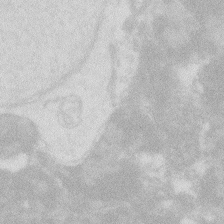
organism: Zebrafish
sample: Macrophage